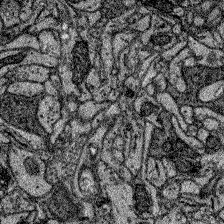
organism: Zebrafish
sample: Larval olfactory bulb